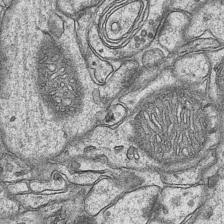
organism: Mouse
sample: CA1 Hippocampus